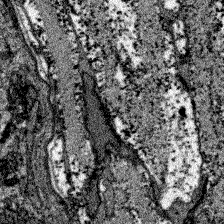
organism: Zebrafish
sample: Larval olfactory bulb